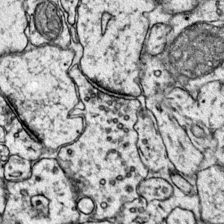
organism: Mouse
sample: Primary visual cortex